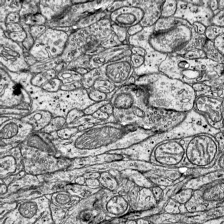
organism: Mouse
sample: Visual Cortex